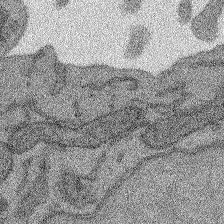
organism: Human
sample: HeLa cells